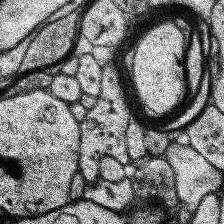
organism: Human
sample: Temporal Lobe